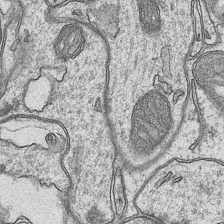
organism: Mouse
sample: CA1 Hippocampus